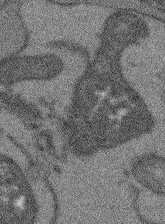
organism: Arabidopsis thaliana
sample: Root tip